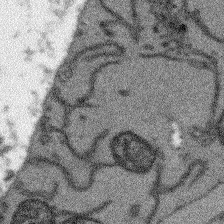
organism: Arabidopsis thaliana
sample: Root tip